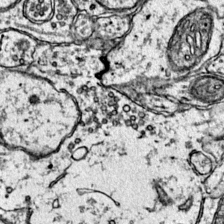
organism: Mouse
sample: Primary visual cortex